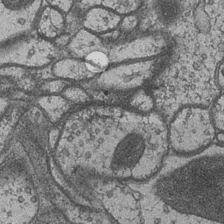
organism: Drosophila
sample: Optic medulla